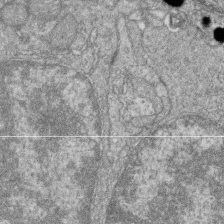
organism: Zebrafish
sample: Cilia; retinal pigment epithelium